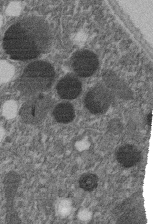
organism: C. elegans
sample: C. elegans embryo early stage